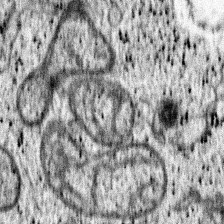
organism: Human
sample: HeLa cells